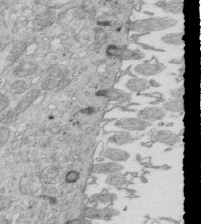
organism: Mouse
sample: Multiciliated cells